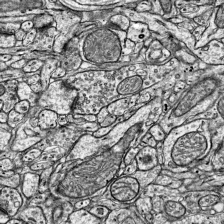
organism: Mouse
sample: Visual Cortex